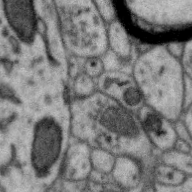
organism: Zebra finch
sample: Brain